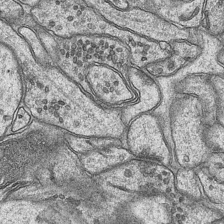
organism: Mouse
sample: CA1 Hippocampus